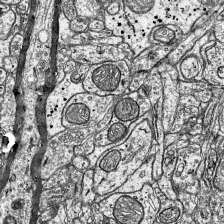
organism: Mouse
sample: Visual Cortex